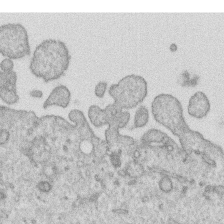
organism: Human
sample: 1205lu cells